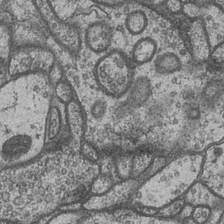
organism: Drosophila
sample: Optic medulla